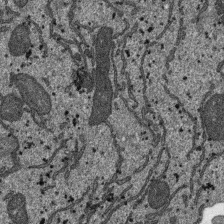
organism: Human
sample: Lung epithelial cells infected with SARS-CoV-2